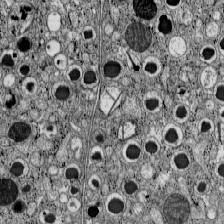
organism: C57BL Mouse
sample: Pancreatic islet